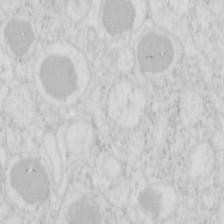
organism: Mouse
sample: Pancreas